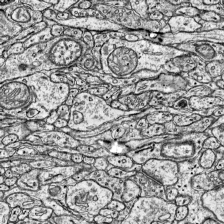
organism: Mouse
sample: Visual Cortex